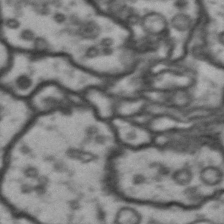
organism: Drosophila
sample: Brain